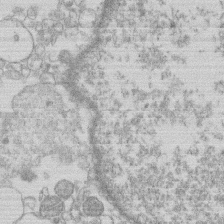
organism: Human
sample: Macrophage cells